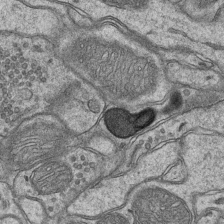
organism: Mouse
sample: CA1 Hippocampus